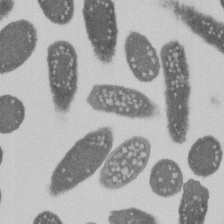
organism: E. coli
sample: Bacterial nucleoid